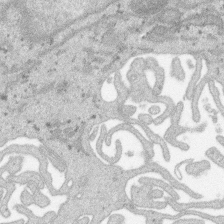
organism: Human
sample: Lung epithelial cells infected with SARS-CoV-2